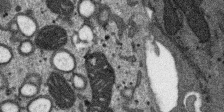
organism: Human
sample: Lung epithelial cells infected with SARS-CoV-2